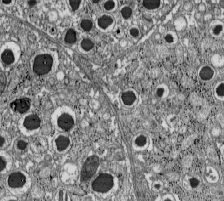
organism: C57BL Mouse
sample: Pancreatic islet